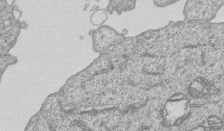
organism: Human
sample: MDA-MB-231 cells